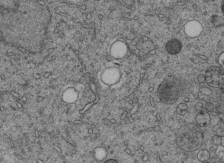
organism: C. elegans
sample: C. elegans embryo early stage